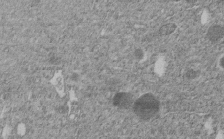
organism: C. elegans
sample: C. elegans embryo early stage